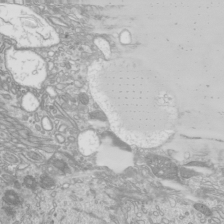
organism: Mouse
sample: Cilia; mouse epididymis